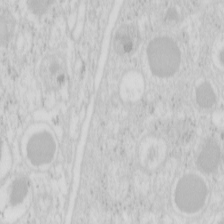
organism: Mouse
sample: Pancreas